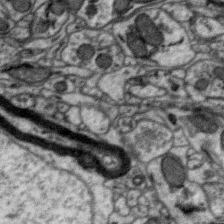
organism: Zebra finch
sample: Brain